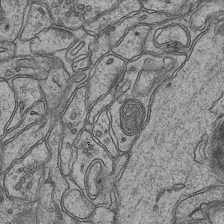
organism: Mouse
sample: CA1 Hippocampus